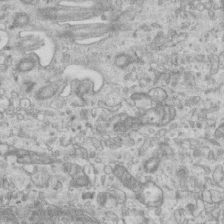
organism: Mouse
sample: Centriole in ependymal cells